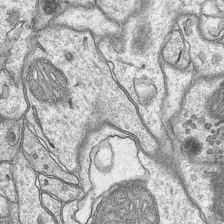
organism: Mouse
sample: CA1 Hippocampus